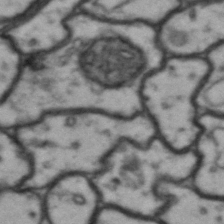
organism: Drosophila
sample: Brain